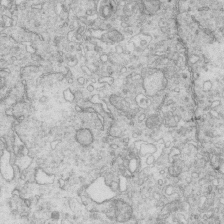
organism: Mouse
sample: Multiciliated cells